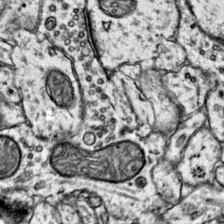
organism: Mouse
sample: Primary visual cortex